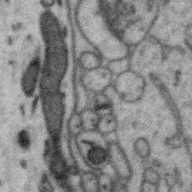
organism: Zebra finch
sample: Brain